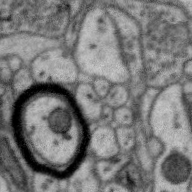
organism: Zebra finch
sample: Brain